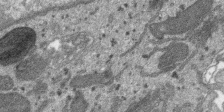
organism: Human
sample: Lung epithelial cells infected with SARS-CoV-2